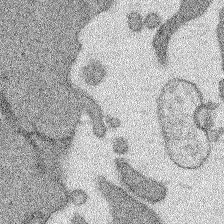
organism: Human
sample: HeLa cells